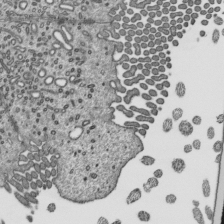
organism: Mouse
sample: Mouse epididymis efferent ductule cilia